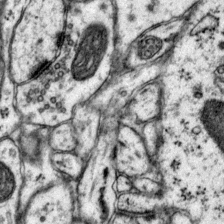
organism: Mouse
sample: Primary visual cortex